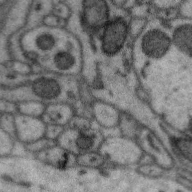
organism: Zebra finch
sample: Brain